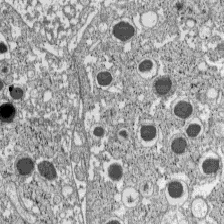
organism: C57BL Mouse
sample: Pancreatic islet